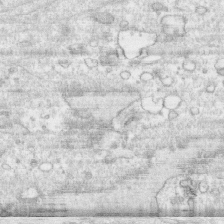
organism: Human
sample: CRL-1474